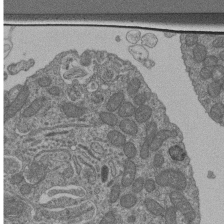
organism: Human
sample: Retinal organoid Rod and Cone cells